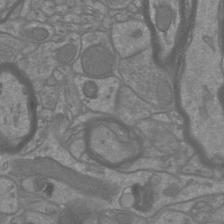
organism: Mouse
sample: Cortical neurons